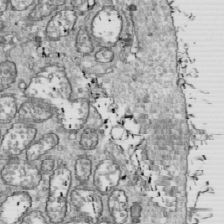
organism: Drosophila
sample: Cell division; meiosis; drosophila spermatocytes